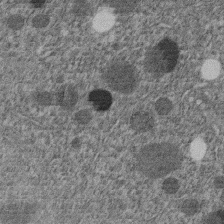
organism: C. elegans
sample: C. elegans embryo early stage